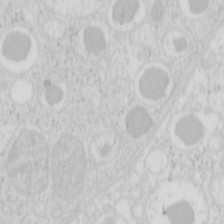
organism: Mouse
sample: Pancreas